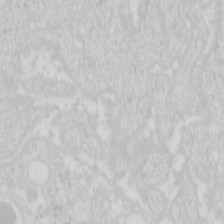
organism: Mouse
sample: Pancreas